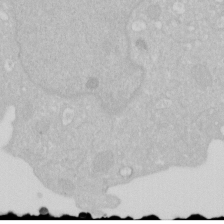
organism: Human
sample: HIV infected U937 cells